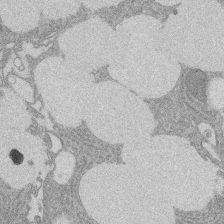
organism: Rat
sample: Salivary granule